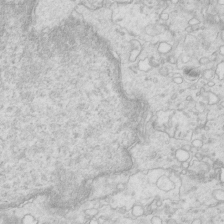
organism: Mouse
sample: Multiciliated cells